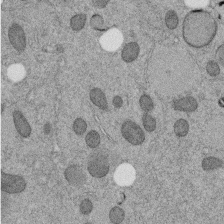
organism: C. elegans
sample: C. elegans embryo early stage